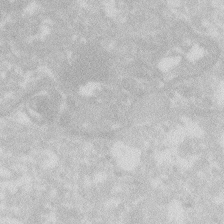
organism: Zebrafish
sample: Macrophage